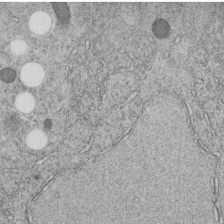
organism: C. elegans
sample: C. elegans embryo early stage